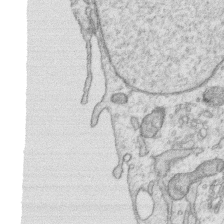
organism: Human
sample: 1205lu cells